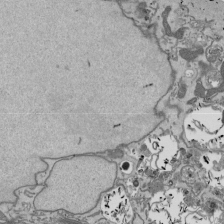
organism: Mouse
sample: ED-1 cell nuclei; centrioles